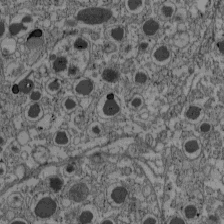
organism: C57BL Mouse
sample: Pancreatic islet